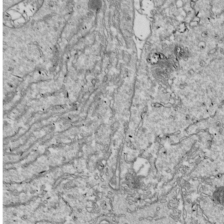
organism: Drosophila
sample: Cell division; meiosis; drosophila spermatocytes